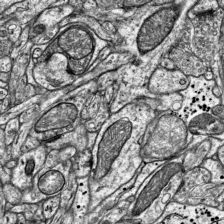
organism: Mouse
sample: Visual Cortex